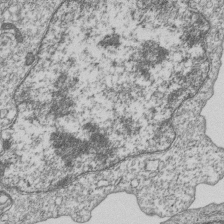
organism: Human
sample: MDA-MB-231 cells